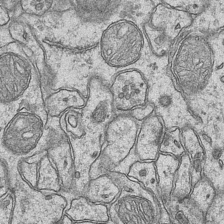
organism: Mouse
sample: CA1 Hippocampus